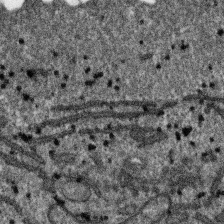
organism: Human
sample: Lung epithelial cells infected with SARS-CoV-2